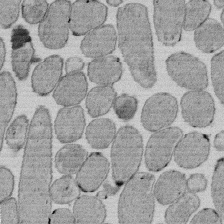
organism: E. coli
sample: Bacterial nucleoid